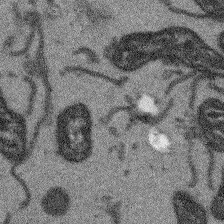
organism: Arabidopsis thaliana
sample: Root tip